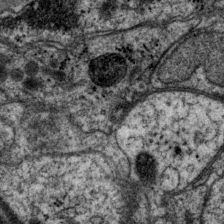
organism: P. pacificus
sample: Pharynx